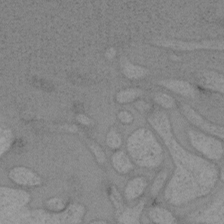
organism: Mouse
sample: OT-I killer T cells with ID8 ovarian cancer cells